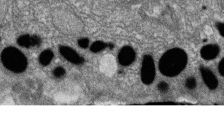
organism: Zebrafish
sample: Cilia; retinal pigment epithelium